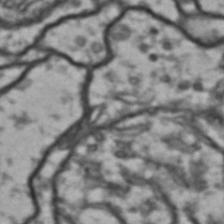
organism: Drosophila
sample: Brain